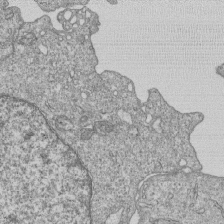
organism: Human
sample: MDA-MB-231 cells